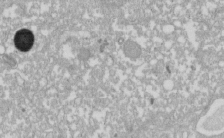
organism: Xenopus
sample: Cilia; centrioles in frog embryo cells